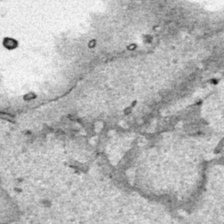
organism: Human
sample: Mitochondria in HCT116 cells